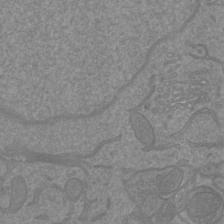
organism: Mouse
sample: Cortical neurons